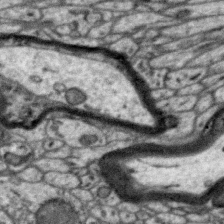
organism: Zebra finch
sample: Brain